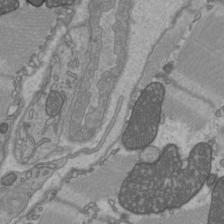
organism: C57BL Mouse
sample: Heart